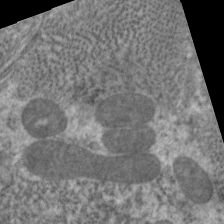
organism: C. elegans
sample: Pharynx